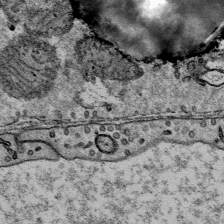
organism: Mouse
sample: Mouse Salivary gland